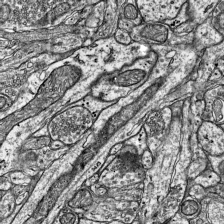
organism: Mouse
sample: Visual Cortex